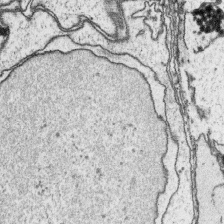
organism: Platynereis dumerilii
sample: Parapodia